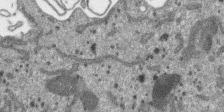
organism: Human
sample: Lung epithelial cells infected with SARS-CoV-2